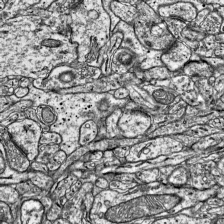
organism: Mouse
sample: Visual Cortex